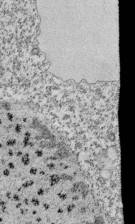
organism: Tetrahymena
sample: Cilia in tetrahymena